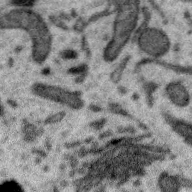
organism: Zebra finch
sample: Brain